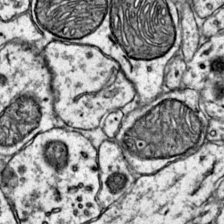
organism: Mouse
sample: Primary visual cortex